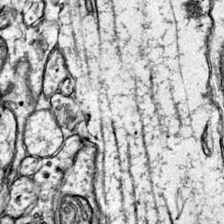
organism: Mouse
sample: Primary visual cortex